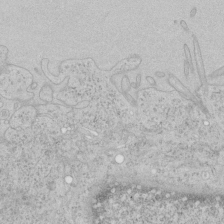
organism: Human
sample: Mitochondria in HCT116 cells